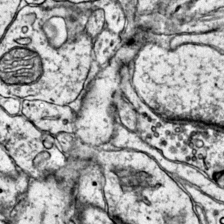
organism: Mouse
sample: Primary visual cortex